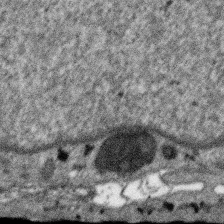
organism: Human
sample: Lung epithelial cells infected with SARS-CoV-2